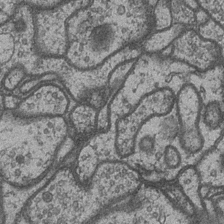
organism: Drosophila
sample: Optic medulla